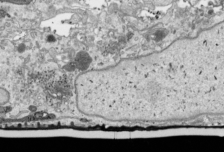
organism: Human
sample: Mitochondria in HCT116 cells